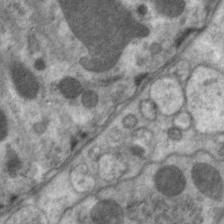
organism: C. elegans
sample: Pharynx